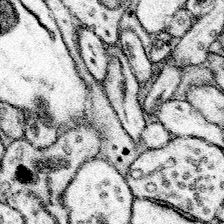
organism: Mouse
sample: Somatosensory cortex neuropil